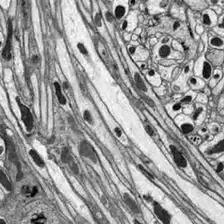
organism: Drosophila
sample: Optic lobe